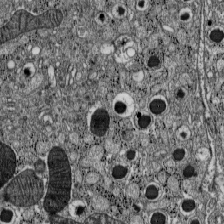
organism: C57BL Mouse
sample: Pancreatic islet